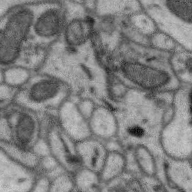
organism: Zebra finch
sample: Brain